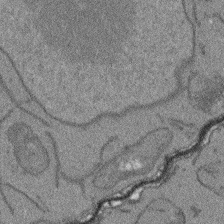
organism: Arabidopsis thaliana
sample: Root tip